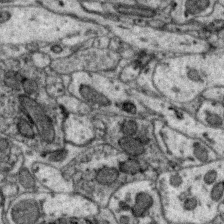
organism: Zebra finch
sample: Brain